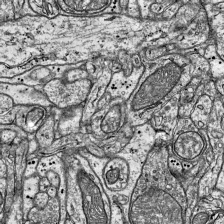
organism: Mouse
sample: Visual Cortex